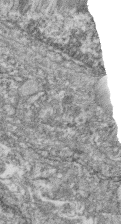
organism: Zebrafish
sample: Cilia; retinal pigment epithelium